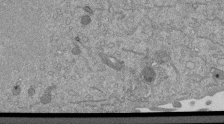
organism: Mouse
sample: ED-1 cell nuclei; centrioles